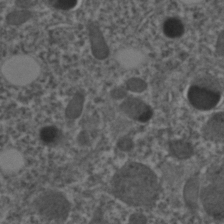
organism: C. elegans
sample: C. elegans embryo